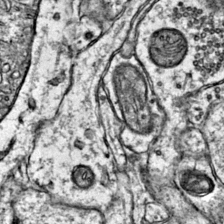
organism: Mouse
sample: Primary visual cortex